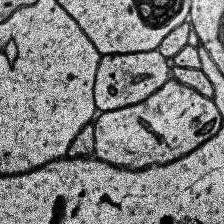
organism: Human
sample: Temporal Lobe